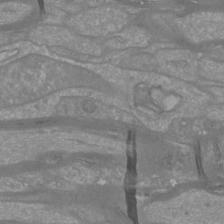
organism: Mouse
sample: Cortical neurons